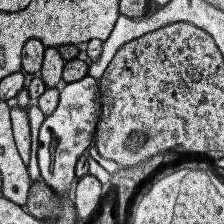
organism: Human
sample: Temporal Lobe